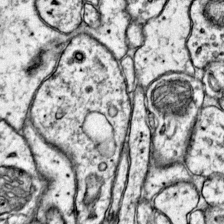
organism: Mouse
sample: Primary visual cortex